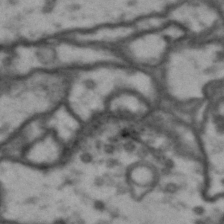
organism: Drosophila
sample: Brain